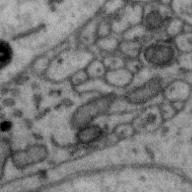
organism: Zebra finch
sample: Brain